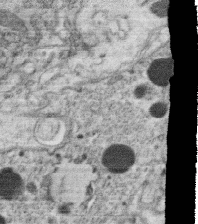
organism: C. elegans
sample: C. elegans oocyte; sperm cells